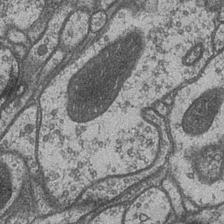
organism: Drosophila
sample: Optic medulla